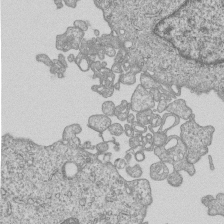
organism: Human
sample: MDA-MB-231 cells